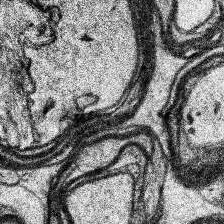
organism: Human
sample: Temporal Lobe